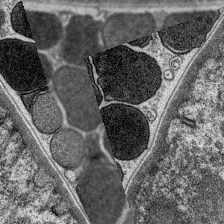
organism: C. elegans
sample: Pharynx